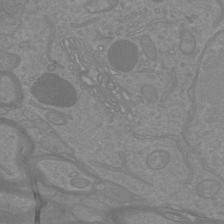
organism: Mouse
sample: Cortical neurons